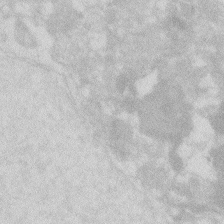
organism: Zebrafish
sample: Macrophage